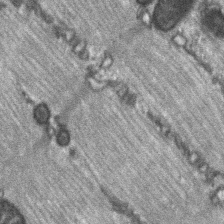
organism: C57BL Mouse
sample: Soleus